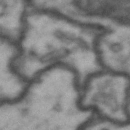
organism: Drosophila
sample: Brain